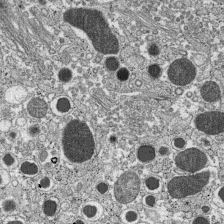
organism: C57BL Mouse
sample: Pancreatic islet